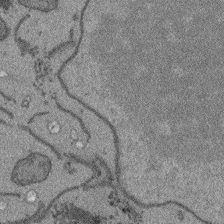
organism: Arabidopsis thaliana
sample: Root tip